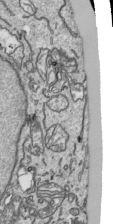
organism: Human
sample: Mitochondria in HCT116 cells